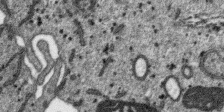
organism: Human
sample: Lung epithelial cells infected with SARS-CoV-2